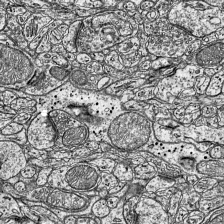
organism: Mouse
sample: Visual Cortex